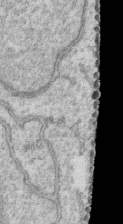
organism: Human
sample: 1205lu cells